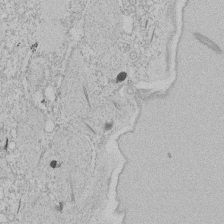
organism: Tetrahymena